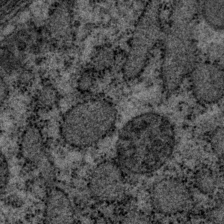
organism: P. pacificus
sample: Pharynx